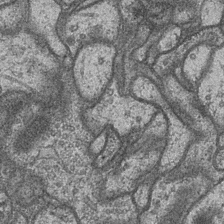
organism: Drosophila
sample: Optic medulla